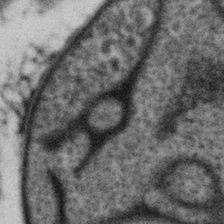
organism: Gemmata obscuriglobus